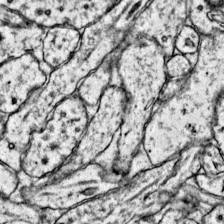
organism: Mouse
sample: Primary visual cortex